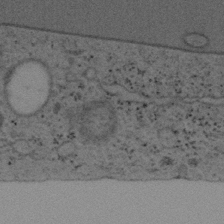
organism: Human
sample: HeLa cells